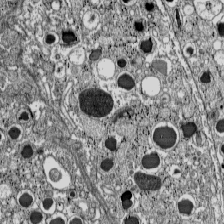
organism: C57BL Mouse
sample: Pancreatic islet